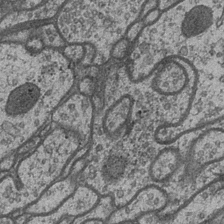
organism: Drosophila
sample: Optic medulla